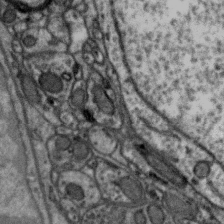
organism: Zebra finch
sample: Brain